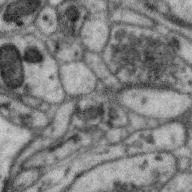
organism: Zebra finch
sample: Brain